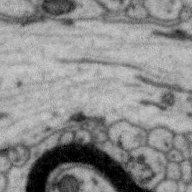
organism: Zebra finch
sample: Brain